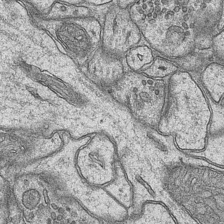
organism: Mouse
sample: CA1 Hippocampus